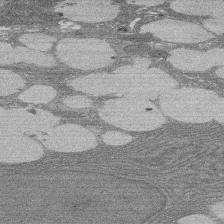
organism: Rat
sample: Salivary granule